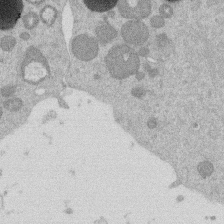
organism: Mouse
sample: Dividing mouse embryo 1 cell stage